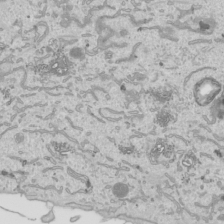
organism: Human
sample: Mitochondria in HCT116 cells